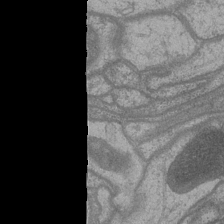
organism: Drosophila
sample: Optic medulla